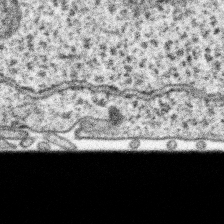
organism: Human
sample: HeLa cells